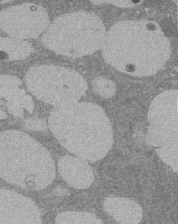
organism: Rat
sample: Salivary granule